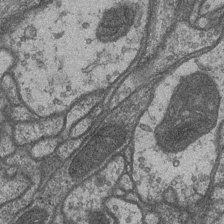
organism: Drosophila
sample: Optic medulla